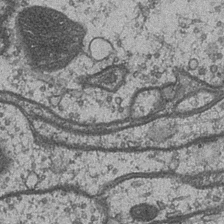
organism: Drosophila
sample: Optic medulla